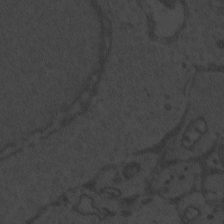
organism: Zebrafish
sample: Macrophage infected with Toxoplasma gondii